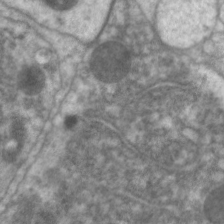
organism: C. elegans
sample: Pharynx